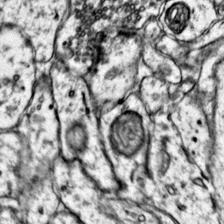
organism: Mouse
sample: Primary visual cortex